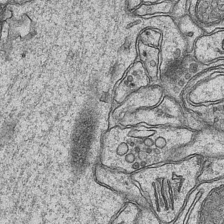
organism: Mouse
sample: CA1 Hippocampus